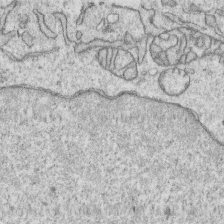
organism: Human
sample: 1205lu cells